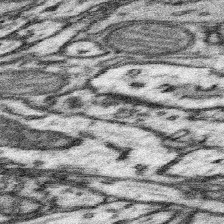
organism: Mouse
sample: Somatosensory cortex neuropil